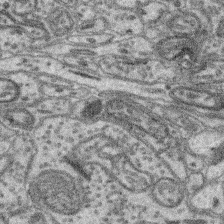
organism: Mouse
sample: Retina